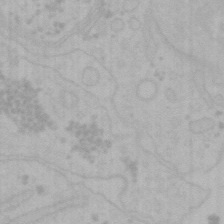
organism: Mouse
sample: Choroid plexus